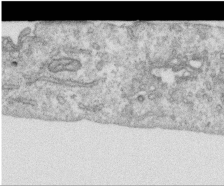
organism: Human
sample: Centriole in RPE cells